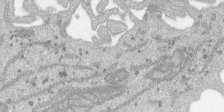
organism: Human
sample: Lung epithelial cells infected with SARS-CoV-2